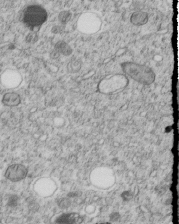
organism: C. elegans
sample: C. elegans embryo early stage